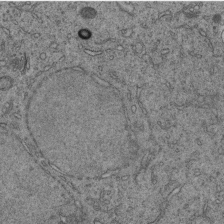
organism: C. elegans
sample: C. elegans embryo early stage